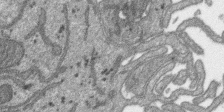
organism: Human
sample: Lung epithelial cells infected with SARS-CoV-2